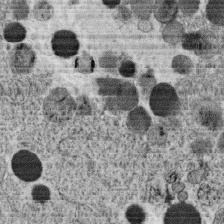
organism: C. elegans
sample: C. elegans oocyte; sperm cells